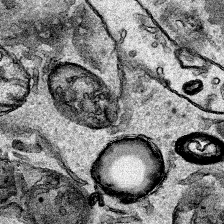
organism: Human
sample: Mitochondria in HCT116 cells